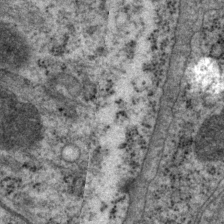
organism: P. pacificus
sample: Pharynx